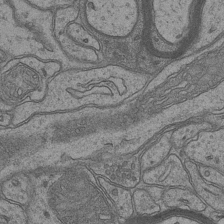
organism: Mouse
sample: CA1 Hippocampus